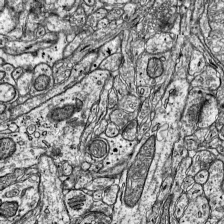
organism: Mouse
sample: Visual Cortex